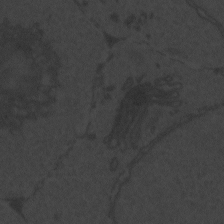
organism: Zebrafish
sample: Macrophage infected with Toxoplasma gondii